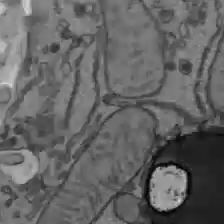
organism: C57BL Mouse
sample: Liver